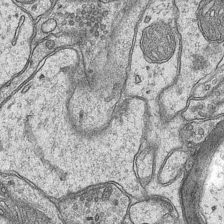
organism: Mouse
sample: CA1 Hippocampus